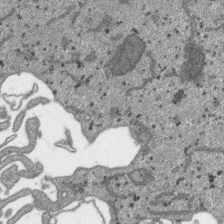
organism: Human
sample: Lung epithelial cells infected with SARS-CoV-2